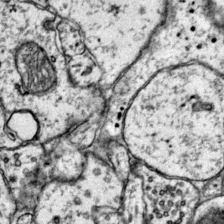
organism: Mouse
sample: Primary visual cortex